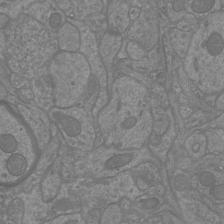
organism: Mouse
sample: Cortical neurons